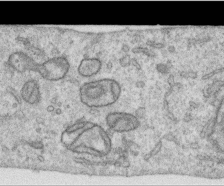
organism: Human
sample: Centriole in RPE cells